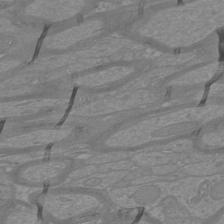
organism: Mouse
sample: Cortical neurons